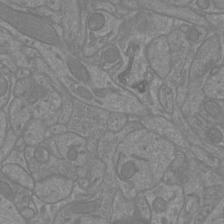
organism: Mouse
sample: Cortical neurons